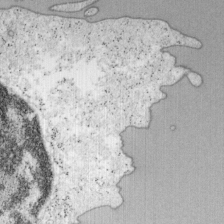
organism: Mouse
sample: OT-I killer T cells with ID8 ovarian cancer cells